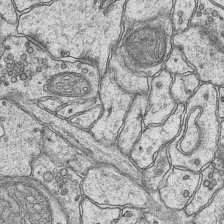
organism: Mouse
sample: CA1 Hippocampus